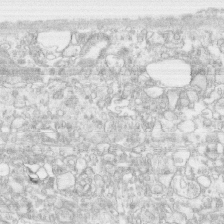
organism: Human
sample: CRL-1474